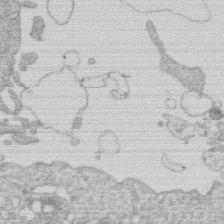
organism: Human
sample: Macrophage cells